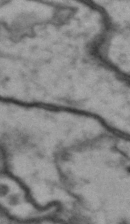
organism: Drosophila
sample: Brain